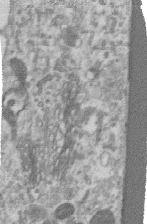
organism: Human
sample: Centriole in RPE cells